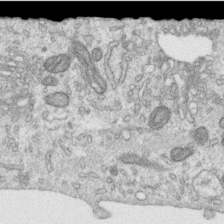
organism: Human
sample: Centriole in RPE cells